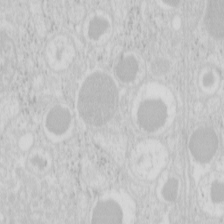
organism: Mouse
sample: Pancreas